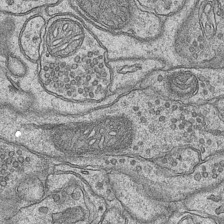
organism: Mouse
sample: CA1 Hippocampus